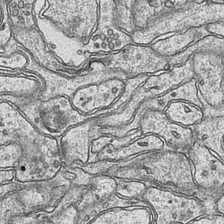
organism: Mouse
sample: CA1 Hippocampus